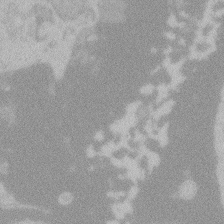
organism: Zebrafish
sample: Macrophage infected with Toxoplasma gondii